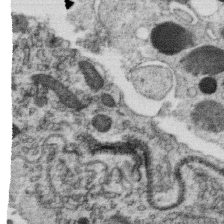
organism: C. elegans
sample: C. elegans oocyte; sperm cells